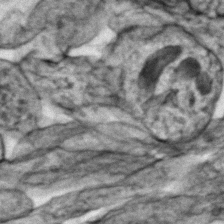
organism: Zebrafish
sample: Zebrafish embryo